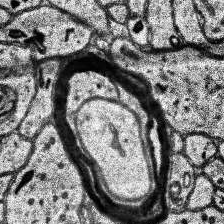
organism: Human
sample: Temporal Lobe